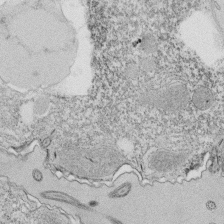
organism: Tetrahymena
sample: Cilia in tetrahymena